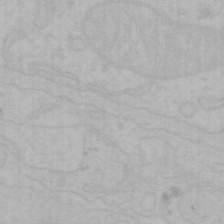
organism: Mouse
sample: Choroid plexus